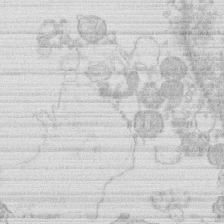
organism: Human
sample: Macrophage cells